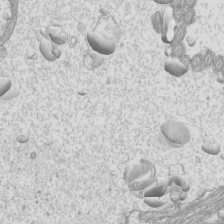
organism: Mouse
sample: Cilia; mouse epididymis